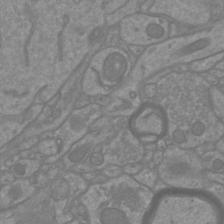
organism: Mouse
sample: Cortical neurons